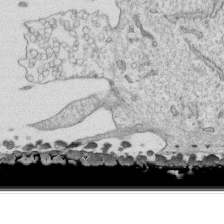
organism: Human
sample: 1205lu cells